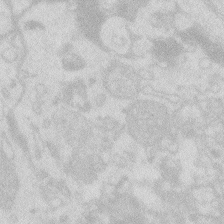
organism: Zebrafish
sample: Macrophage